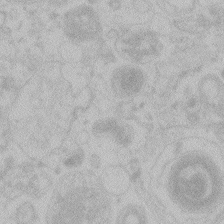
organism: Zebrafish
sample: Macrophage infected with Toxoplasma gondii